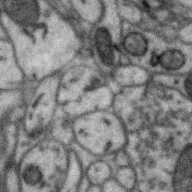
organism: Zebra finch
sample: Brain